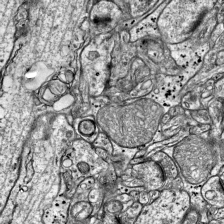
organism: Mouse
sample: Visual Cortex